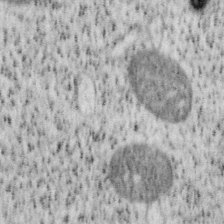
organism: Mouse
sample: OT-I killer T cells with ID8 ovarian cancer cells